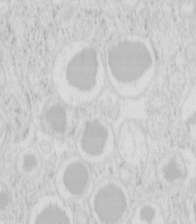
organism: Mouse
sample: Pancreas